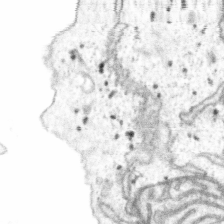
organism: Human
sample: HeLa cells